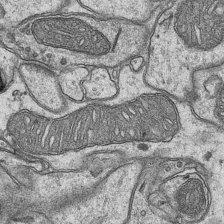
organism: Mouse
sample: CA1 Hippocampus